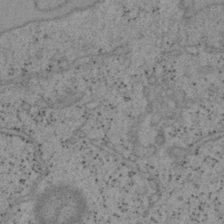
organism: Human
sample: HeLa cells